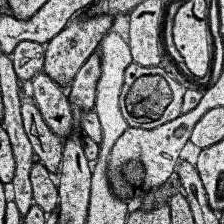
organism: Human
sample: Temporal Lobe